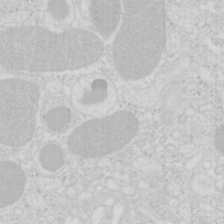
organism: Mouse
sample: Pancreas